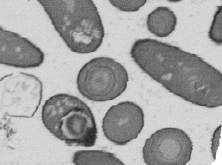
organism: B. subtilis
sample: Bacterial spore